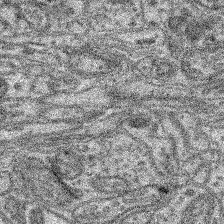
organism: Mouse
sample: Retina